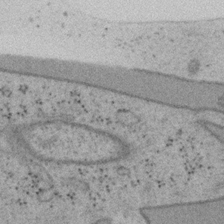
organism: Human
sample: HeLa cells